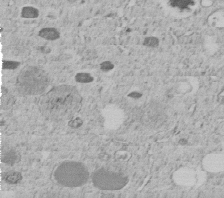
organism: C. elegans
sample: C. elegans embryo early stage